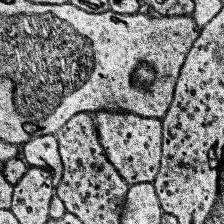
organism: Human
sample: Temporal Lobe